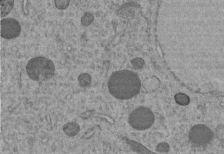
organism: C. elegans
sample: C. elegans embryo early stage